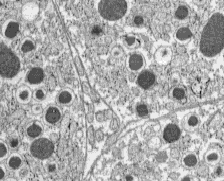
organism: C57BL Mouse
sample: Pancreatic islet